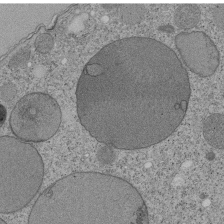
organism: Tetrahymena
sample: Cilia in tetrahymena